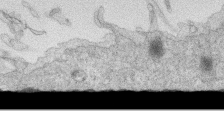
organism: Human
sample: HeLa cell HIV synapse